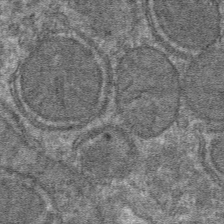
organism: Mouse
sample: Mouse hepatocytes